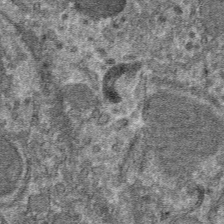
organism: Mouse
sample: Mouse hepatocytes